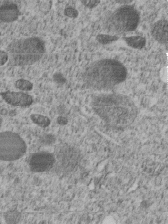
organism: C. elegans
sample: C. elegans embryo early stage